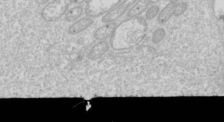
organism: Drosophila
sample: Cell division; meiosis; drosophila spermatocytes